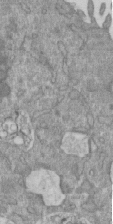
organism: Mouse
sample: ED-1 cell nuclei; centrioles